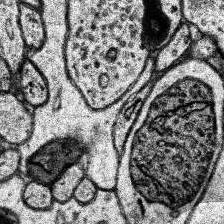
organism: Human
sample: Temporal Lobe